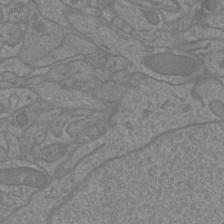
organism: Mouse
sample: Cortical neurons